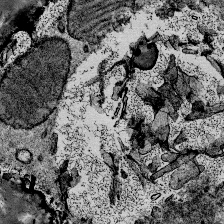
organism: Mouse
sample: Mouse Salivary gland